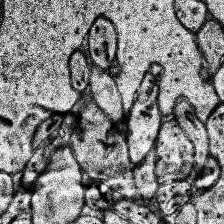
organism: Human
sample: Temporal Lobe